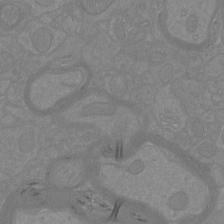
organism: Mouse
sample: Cortical neurons